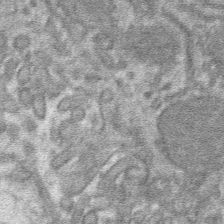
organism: Mouse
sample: Mouse hepatocytes